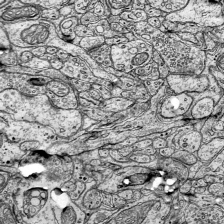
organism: Mouse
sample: Visual Cortex